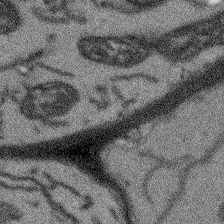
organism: Arabidopsis thaliana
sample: Root tip